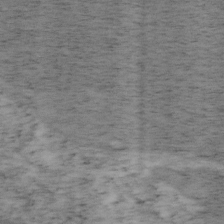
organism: Mouse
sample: OT-I killer T cells with ID8 ovarian cancer cells